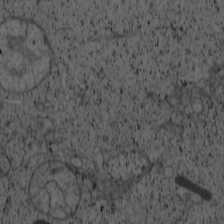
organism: African green monkey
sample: COS-7 cells